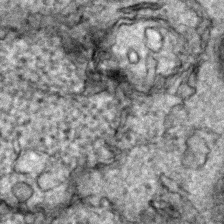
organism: Zebrafish